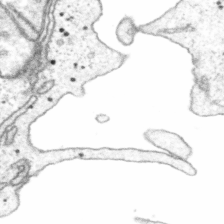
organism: Human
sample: HeLa cells